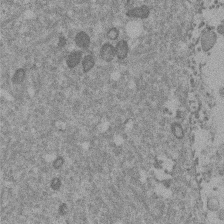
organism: Mouse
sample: Dividing mouse embryo 1 cell stage